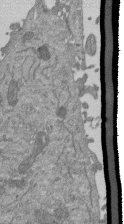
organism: Mouse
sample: ED-1 cell nuclei; centrioles